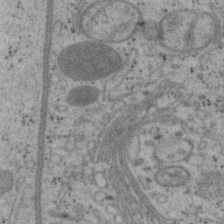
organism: Human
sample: HeLa cells